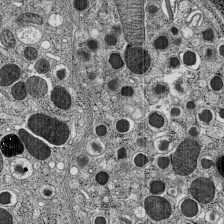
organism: C57BL Mouse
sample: Pancreatic islet